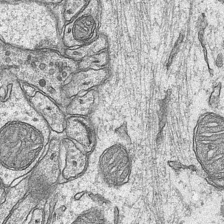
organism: Mouse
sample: CA1 Hippocampus